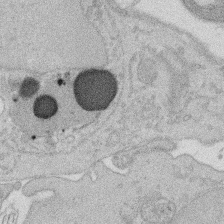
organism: Rat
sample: Salivary granule